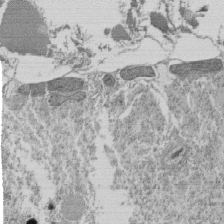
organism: Tetrahymena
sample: Cilia in tetrahymena